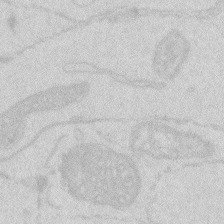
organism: Zebrafish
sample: Macrophage